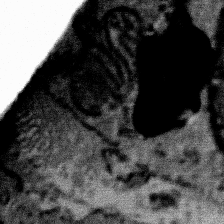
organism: Mouse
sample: Mouse Salivary gland